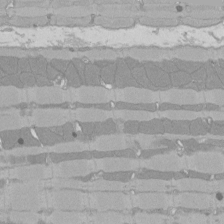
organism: Rat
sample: Left ventricle